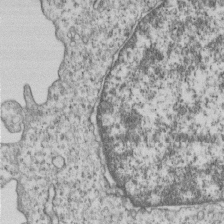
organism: Human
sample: MDA-MB-231 cells